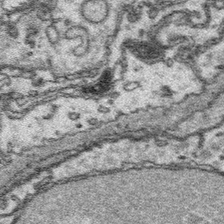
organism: Platynereis dumerilii